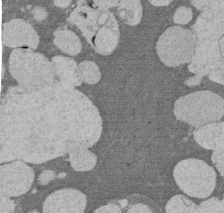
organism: Rat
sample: Salivary granule